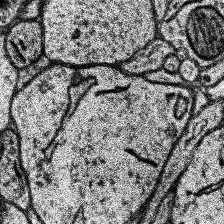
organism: Human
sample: Temporal Lobe